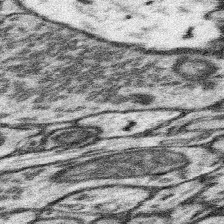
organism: Mouse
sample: Somatosensory cortex neuropil